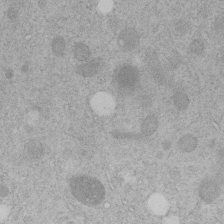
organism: C. elegans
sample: C. elegans embryo early stage